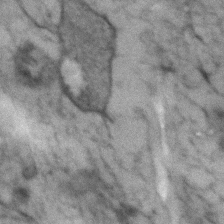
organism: Human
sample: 1205lu cells